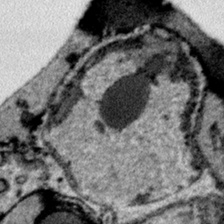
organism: Plasmodium falciparum